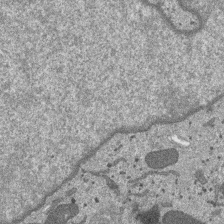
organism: Human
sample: Lung epithelial cells infected with SARS-CoV-2